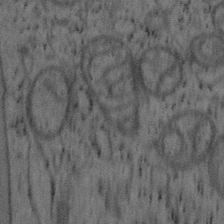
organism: Human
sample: HeLa cells